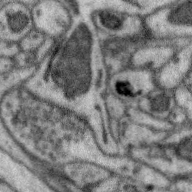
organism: Zebra finch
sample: Brain